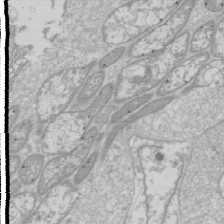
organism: Drosophila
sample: Cell division; meiosis; drosophila spermatocytes